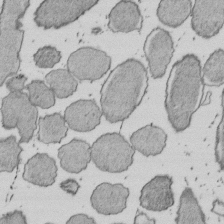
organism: E. coli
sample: Bacterial nucleoid